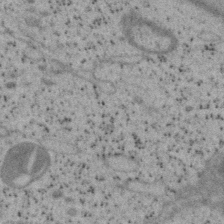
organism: Human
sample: HeLa cells